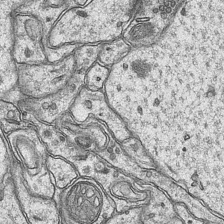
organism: Mouse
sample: CA1 Hippocampus